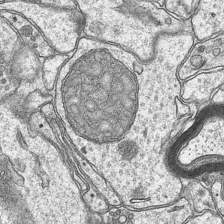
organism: Mouse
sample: CA1 Hippocampus